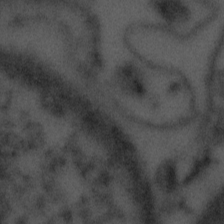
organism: Tuwongella immobilis